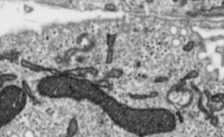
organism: Toxoplasma gondii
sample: Parasites in a vacuole inside a host cell